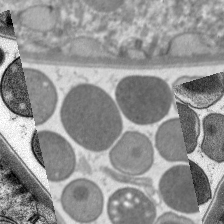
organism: C. elegans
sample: Pharynx